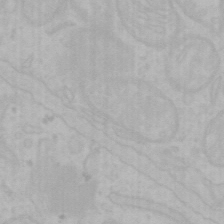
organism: Mouse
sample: Choroid plexus